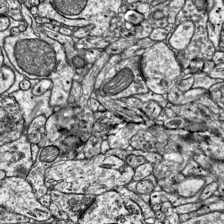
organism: Mouse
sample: Visual Cortex